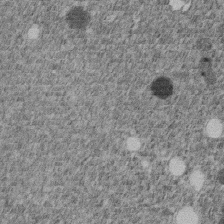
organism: C. elegans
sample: C. elegans embryo early stage